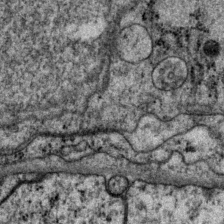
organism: P. pacificus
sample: Pharynx